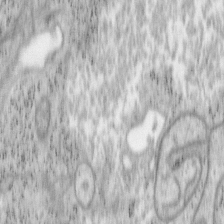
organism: Human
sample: HeLa cells